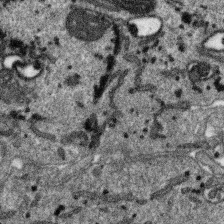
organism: Human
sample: Lung epithelial cells infected with SARS-CoV-2